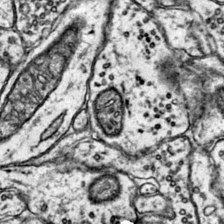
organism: Mouse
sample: Primary visual cortex